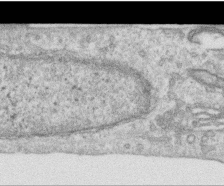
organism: Human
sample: Centriole in RPE cells